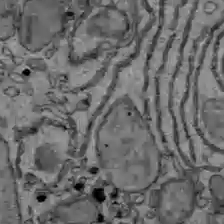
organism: C57BL Mouse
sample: Liver